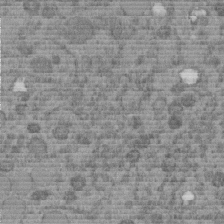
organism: C. elegans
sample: C. elegans embryo early stage